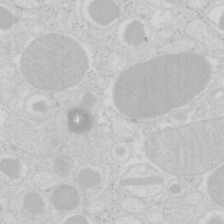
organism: Mouse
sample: Pancreas